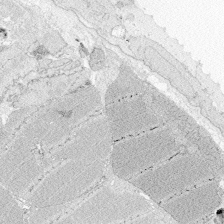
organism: Zebrafish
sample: Whole-Brain